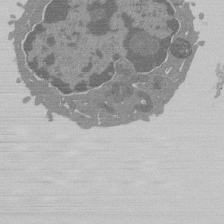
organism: Mouse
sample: Activated Pmel transgenic CD8+ T Cells